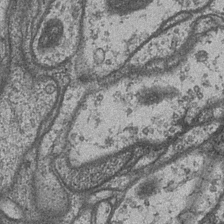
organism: Drosophila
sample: Optic medulla